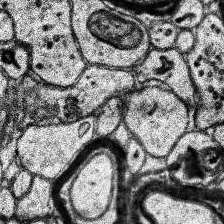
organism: Human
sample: Temporal Lobe